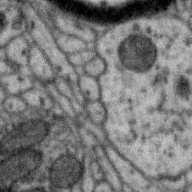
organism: Zebra finch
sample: Brain